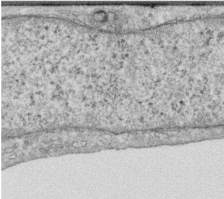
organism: Human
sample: Centriole in RPE cells